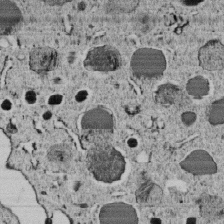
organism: C. elegans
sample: C. elegans embryo early stage